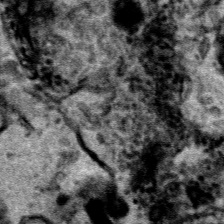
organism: Human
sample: Mitochondria in HCT116 cells